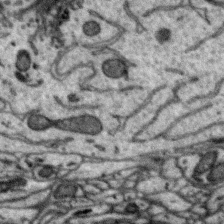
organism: Zebra finch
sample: Brain